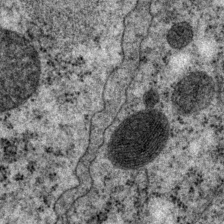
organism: P. pacificus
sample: Pharynx